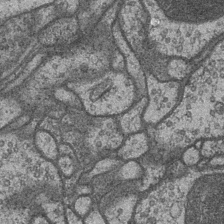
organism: Drosophila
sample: Optic medulla